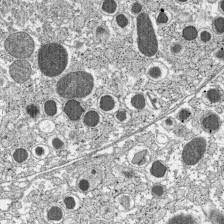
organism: C57BL Mouse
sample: Pancreatic islet